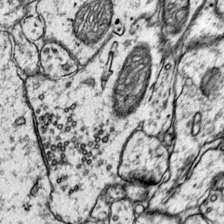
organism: Mouse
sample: Primary visual cortex